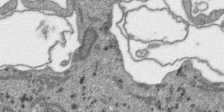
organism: Human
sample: Lung epithelial cells infected with SARS-CoV-2